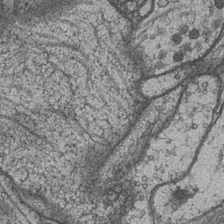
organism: Drosophila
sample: Optic medulla